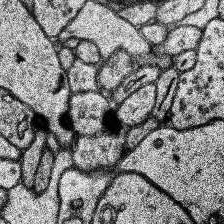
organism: Human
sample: Temporal Lobe